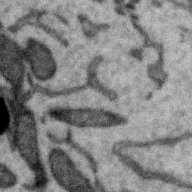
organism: Zebra finch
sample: Brain